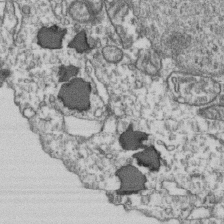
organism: Human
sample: Activated Jurkat CD4+ T cells